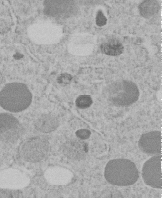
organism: C. elegans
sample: C. elegans embryo early stage